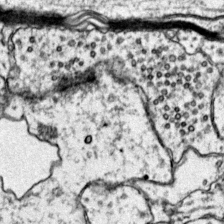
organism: Mouse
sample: Primary visual cortex